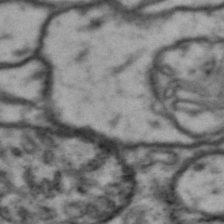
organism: Drosophila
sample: Brain